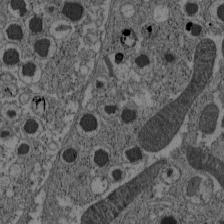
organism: C57BL Mouse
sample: Pancreatic islet